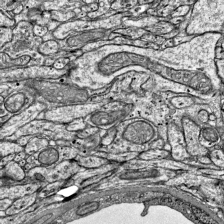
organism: Mouse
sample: Visual Cortex